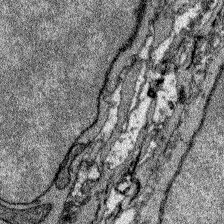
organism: Zebrafish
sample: Larval olfactory bulb